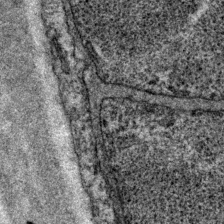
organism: P. pacificus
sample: Pharynx